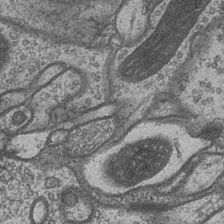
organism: Drosophila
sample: Optic medulla